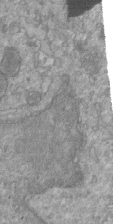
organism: Mouse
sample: ED-1 cell nuclei; centrioles